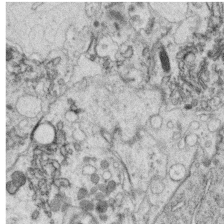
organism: C. elegans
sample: C. elegans oocyte; sperm cells